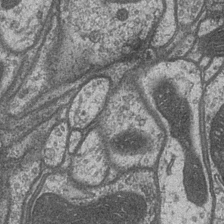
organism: Drosophila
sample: Optic medulla